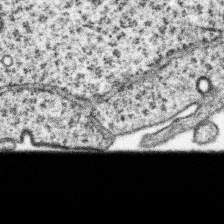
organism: Human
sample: HeLa cells